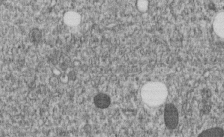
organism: C. elegans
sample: C. elegans embryo early stage